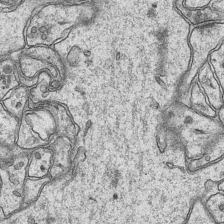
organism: Mouse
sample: CA1 Hippocampus